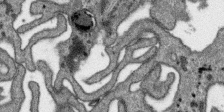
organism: Human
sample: Lung epithelial cells, uninfected (mock) control